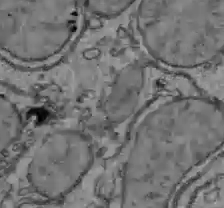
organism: C57BL Mouse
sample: Liver